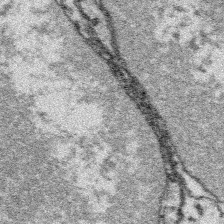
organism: Platynereis dumerilii